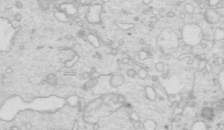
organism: Mouse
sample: Multiciliated cells